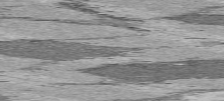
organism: C57BL Mouse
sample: Heart